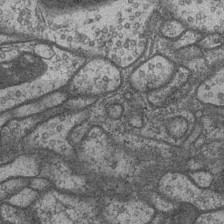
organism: Drosophila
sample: Optic medulla